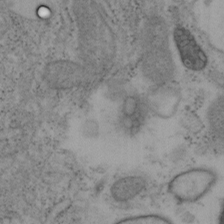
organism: Mouse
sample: OT-I killer T cells with ID8 ovarian cancer cells